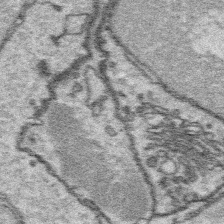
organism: Platynereis dumerilii